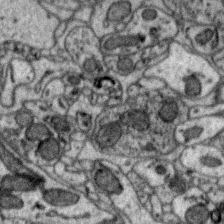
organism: Zebra finch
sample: Brain